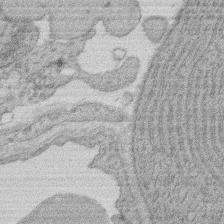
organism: Rat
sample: Salivary granule